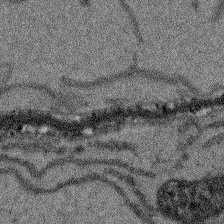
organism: Arabidopsis thaliana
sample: Root tip